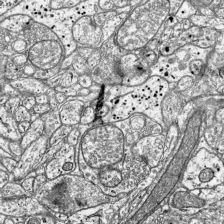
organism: Mouse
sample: Visual Cortex